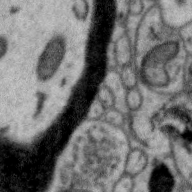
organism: Zebra finch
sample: Brain